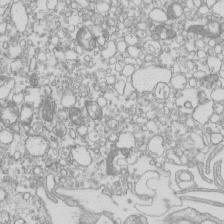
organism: Mouse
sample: Macrophages